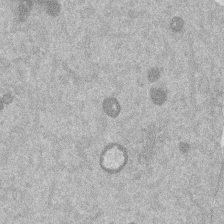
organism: Mouse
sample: Dividing mouse embryo 1 cell stage